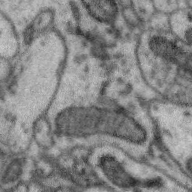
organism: Zebra finch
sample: Brain